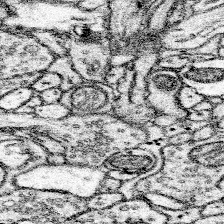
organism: Mouse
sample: Somatosensory cortex neuropil